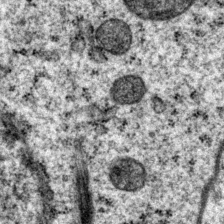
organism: P. pacificus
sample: Pharynx